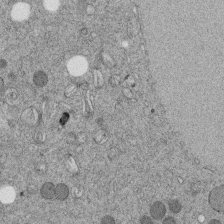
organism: C. elegans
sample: C. elegans embryo early stage